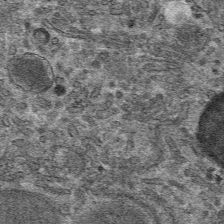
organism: Mouse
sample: Mouse hepatocytes